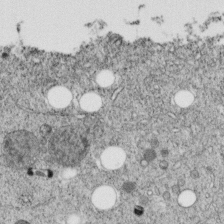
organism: C. elegans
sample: C. elegans embryo early stage